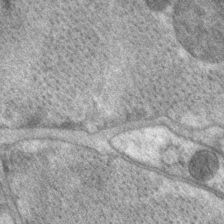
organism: P. pacificus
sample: Pharynx